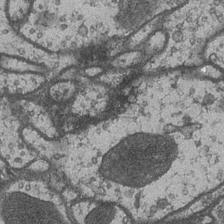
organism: Drosophila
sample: Optic medulla